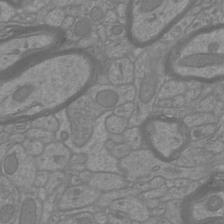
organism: Mouse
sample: Cortical neurons